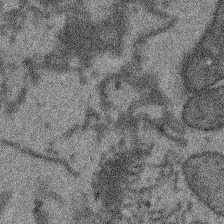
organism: Arabidopsis thaliana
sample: Root tip